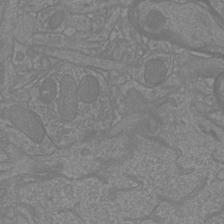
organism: Mouse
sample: Cortical neurons